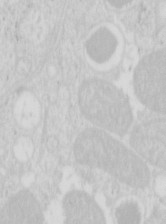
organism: Mouse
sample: Pancreas